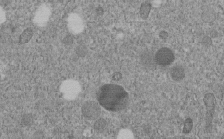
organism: C. elegans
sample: C. elegans embryo early stage